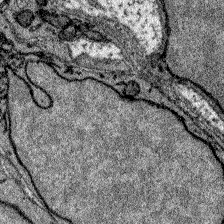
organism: Zebrafish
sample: Larval olfactory bulb